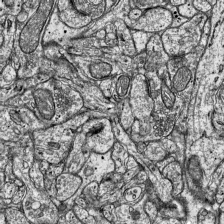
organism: Mouse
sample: Visual Cortex